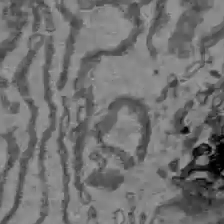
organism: C57BL Mouse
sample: Liver